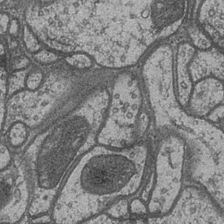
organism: Drosophila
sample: Optic medulla